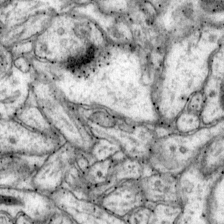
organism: Mouse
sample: Primary visual cortex